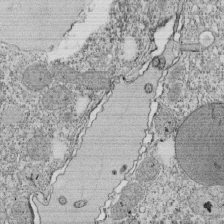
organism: Tetrahymena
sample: Cilia in tetrahymena